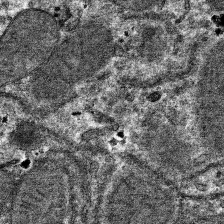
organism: Mouse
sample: Mouse hepatocytes